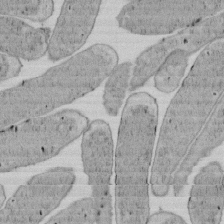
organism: E. coli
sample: Bacterial nucleoid